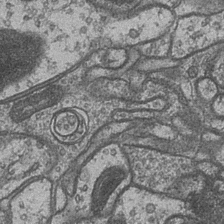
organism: Drosophila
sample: Optic medulla